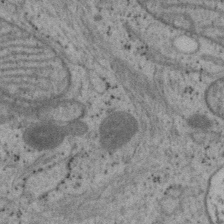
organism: Human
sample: HeLa cells